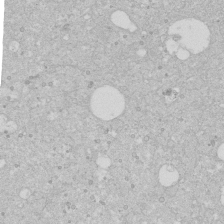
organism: Human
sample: Caco-2 cells